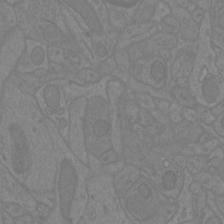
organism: Mouse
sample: Cortical neurons